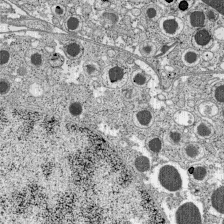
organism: C57BL Mouse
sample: Pancreatic islet